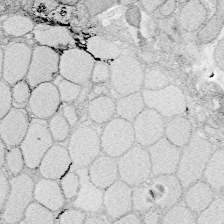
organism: Zebrafish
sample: Whole-Brain